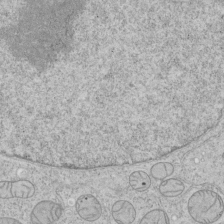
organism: Human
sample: Mitochondria in HCT116 cells